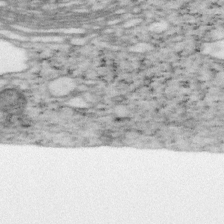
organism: Mouse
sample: OT-I killer T cells with ID8 ovarian cancer cells